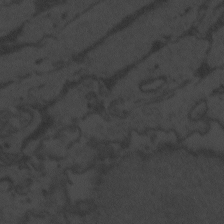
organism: Zebrafish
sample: Macrophage infected with Toxoplasma gondii